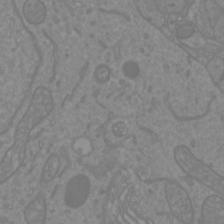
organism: Mouse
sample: Cortical neurons